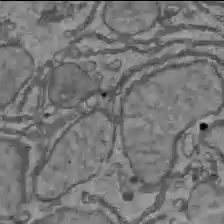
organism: C57BL Mouse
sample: Liver